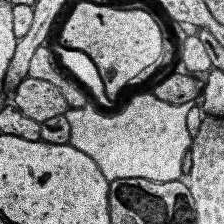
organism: Human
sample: Temporal Lobe